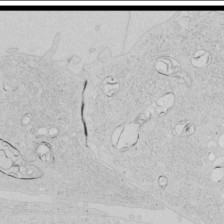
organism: Human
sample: Mitochondria in HCT116 cells